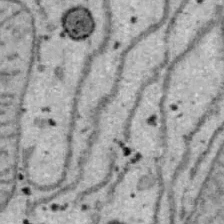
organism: Mouse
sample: Liver from an obese (ob/ob) mouse